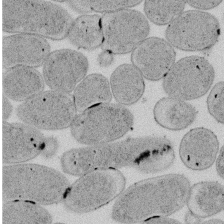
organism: E. coli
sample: Bacterial nucleoid